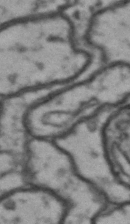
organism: Drosophila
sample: Brain